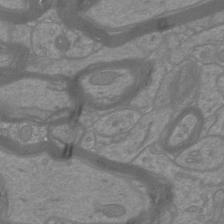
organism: Mouse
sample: Cortical neurons